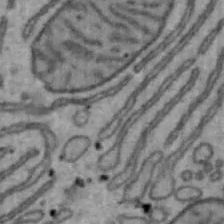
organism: Mouse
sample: Liver